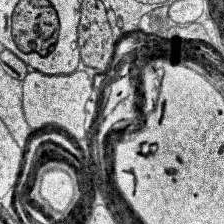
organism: Human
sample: Temporal Lobe